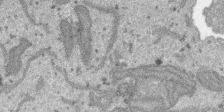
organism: Human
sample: Lung epithelial cells infected with SARS-CoV-2